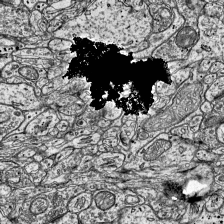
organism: Mouse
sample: Visual Cortex